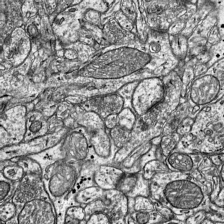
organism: Mouse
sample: Visual Cortex